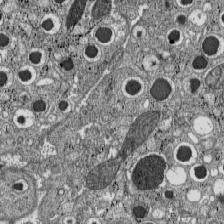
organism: C57BL Mouse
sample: Pancreatic islet